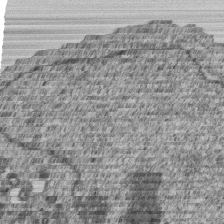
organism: Human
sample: MDA-MB-231 cells